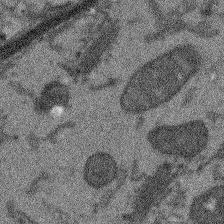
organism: Arabidopsis thaliana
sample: Root tip